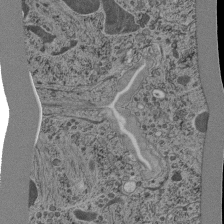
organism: C. elegans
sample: C. elegans pharynx